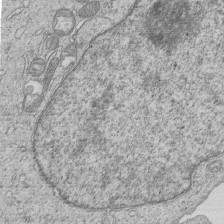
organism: Human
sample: MDA-MB-231 cells